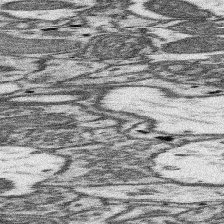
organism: Mouse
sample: Somatosensory cortex neuropil